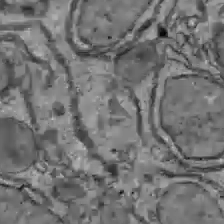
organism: C57BL Mouse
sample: Liver